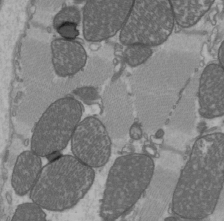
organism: C57BL Mouse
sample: Heart